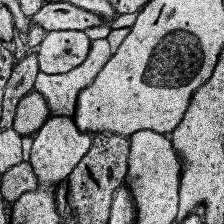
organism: Human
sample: Temporal Lobe